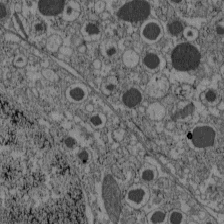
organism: C57BL Mouse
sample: Pancreatic islet